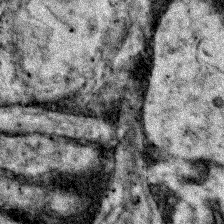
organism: Zebrafish